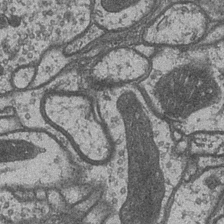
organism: Drosophila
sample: Optic medulla